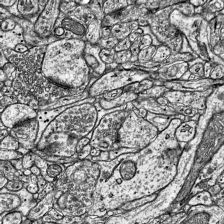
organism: Mouse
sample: Visual Cortex